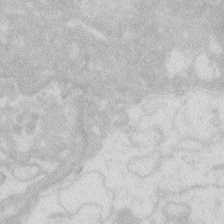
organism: Zebrafish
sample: Macrophage